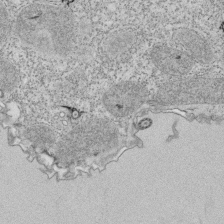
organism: Tetrahymena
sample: Cilia in tetrahymena